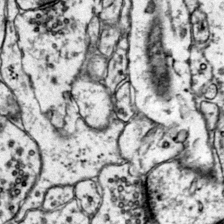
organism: Mouse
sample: Primary visual cortex